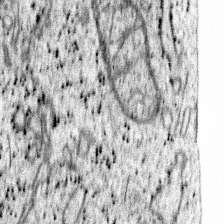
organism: Human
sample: HeLa cells